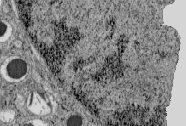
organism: C57BL Mouse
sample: Pancreatic islet